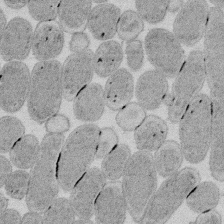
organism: E. coli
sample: Bacterial nucleoid